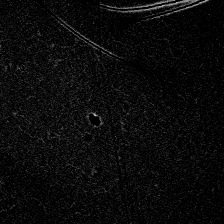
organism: Zebrafish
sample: Whole-Brain